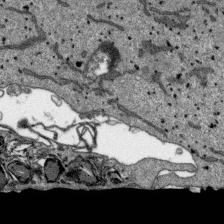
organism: Human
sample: Lung epithelial cells, uninfected (mock) control